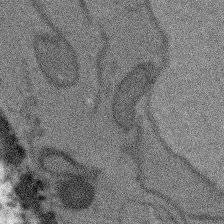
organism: Arabidopsis thaliana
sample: Root tip